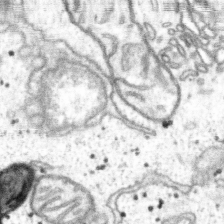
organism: Human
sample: HeLa cells